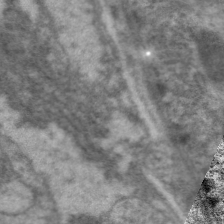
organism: C. elegans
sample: Pharynx